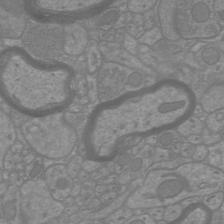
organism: Mouse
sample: Cortical neurons